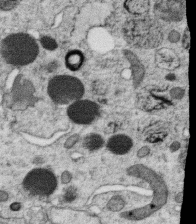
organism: C. elegans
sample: C. elegans oocyte; sperm cells